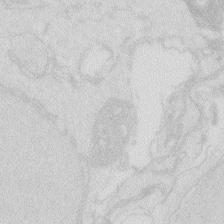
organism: Zebrafish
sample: Macrophage